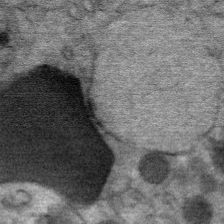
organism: Mouse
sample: Mouse Salivary gland